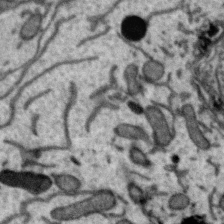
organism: Zebra finch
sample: Brain